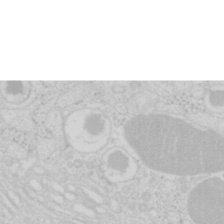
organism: Mouse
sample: Pancreas